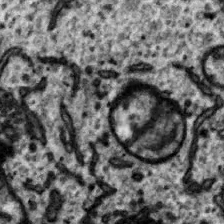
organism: Human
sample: HeLa cells